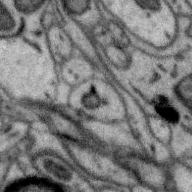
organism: Zebra finch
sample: Brain